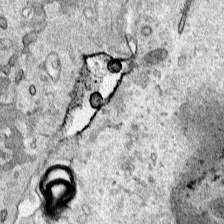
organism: Human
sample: Mitochondria in HCT116 cells